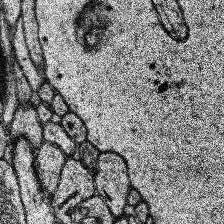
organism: Human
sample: Temporal Lobe